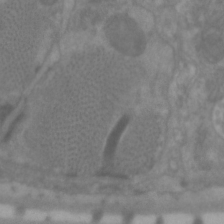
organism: C. elegans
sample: Pharynx